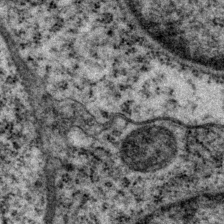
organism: P. pacificus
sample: Pharynx